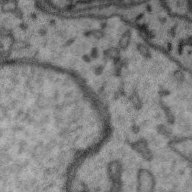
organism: Zebra finch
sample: Brain